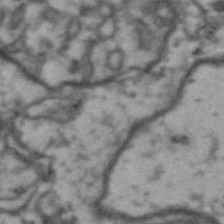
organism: Drosophila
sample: Brain